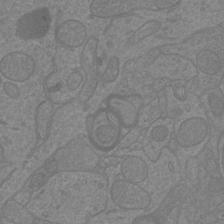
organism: Mouse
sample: Cortical neurons